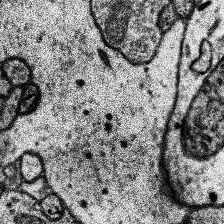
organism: Human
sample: Temporal Lobe